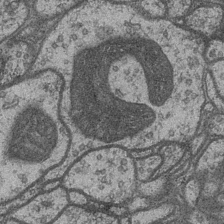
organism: Drosophila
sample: Optic medulla